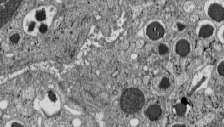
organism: C57BL Mouse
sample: Pancreatic islet